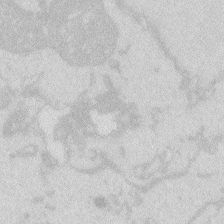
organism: Zebrafish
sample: Macrophage